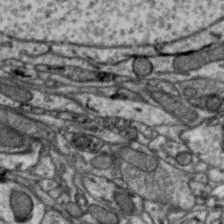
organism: Zebra finch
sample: Brain